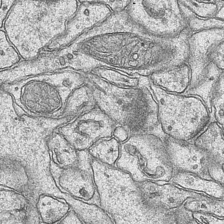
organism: Mouse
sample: CA1 Hippocampus